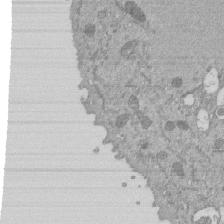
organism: Mouse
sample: ED-1 cell nuclei; centrioles